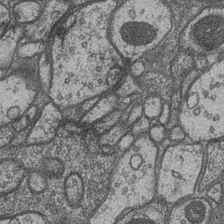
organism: Drosophila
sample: Optic medulla